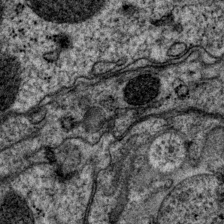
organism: P. pacificus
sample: Pharynx